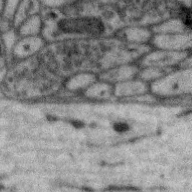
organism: Zebra finch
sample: Brain